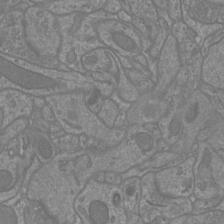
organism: Mouse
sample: Cortical neurons